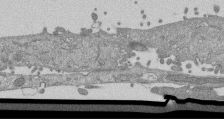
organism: Mouse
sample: ED-1 cell nuclei; centrioles